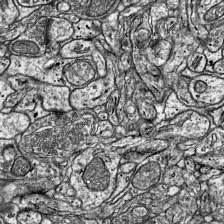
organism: Mouse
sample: Visual Cortex